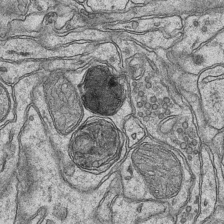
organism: Mouse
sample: CA1 Hippocampus